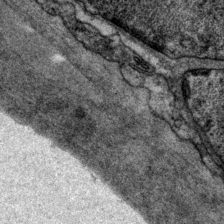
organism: P. pacificus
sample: Pharynx